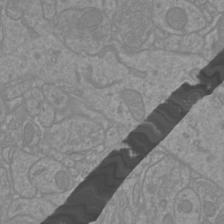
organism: Mouse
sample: Cortical neurons